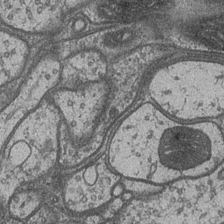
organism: Drosophila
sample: Optic medulla